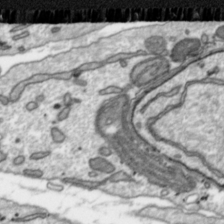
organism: Toxoplasma gondii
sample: Parasites in a vacuole inside a host cell